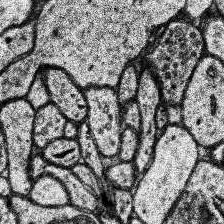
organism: Human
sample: Temporal Lobe